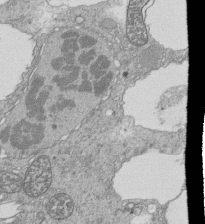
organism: Tetrahymena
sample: Cilia in tetrahymena